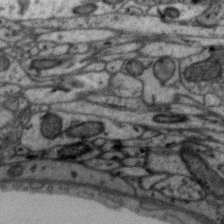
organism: Zebra finch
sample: Brain